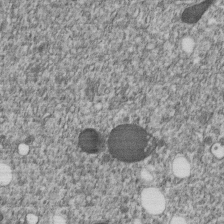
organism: C. elegans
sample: C. elegans embryo early stage